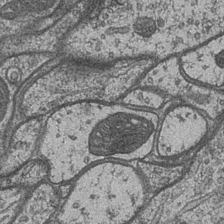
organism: Drosophila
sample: Optic medulla